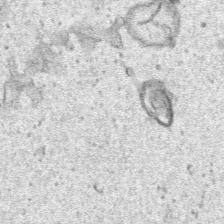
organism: Human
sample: Mitochondria in HCT116 cells